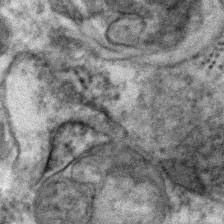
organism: Human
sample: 1205lu cells